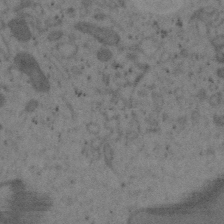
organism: Human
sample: HeLa cells